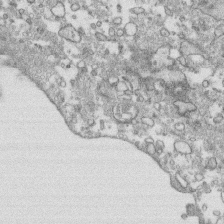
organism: Human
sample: CRL-1474